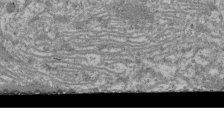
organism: Mouse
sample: Glomerulus